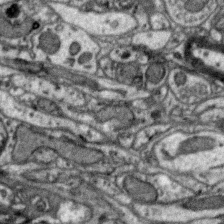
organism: Zebra finch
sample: Brain